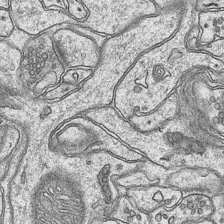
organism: Mouse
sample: CA1 Hippocampus